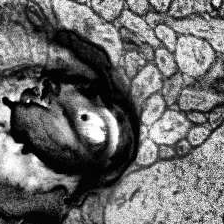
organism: Human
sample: Temporal Lobe